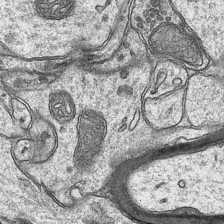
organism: Mouse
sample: CA1 Hippocampus